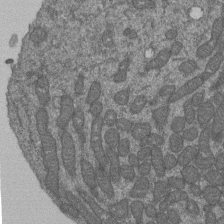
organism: Human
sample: Retinal organoid Rod and Cone cells